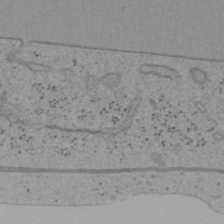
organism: Human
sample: HeLa cells